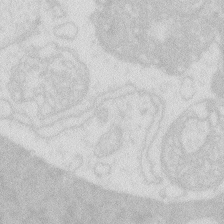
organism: Zebrafish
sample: Macrophage